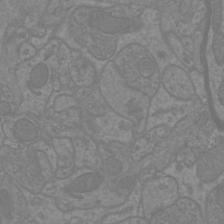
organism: Mouse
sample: Cortical neurons